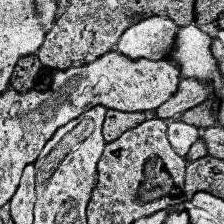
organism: Human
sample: Temporal Lobe